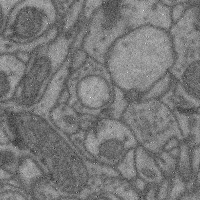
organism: Mouse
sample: Cerebral cortex